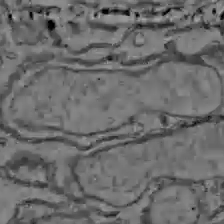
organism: C57BL Mouse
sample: Liver